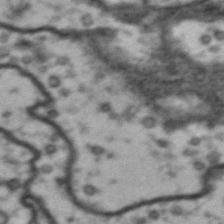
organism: Drosophila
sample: Brain